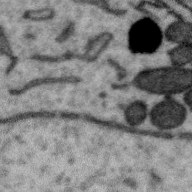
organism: Zebra finch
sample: Brain